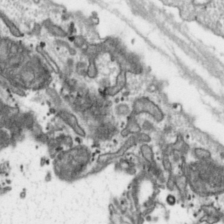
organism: Toxoplasma gondii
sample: Parasites in a vacuole inside a host cell